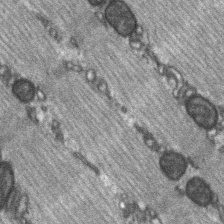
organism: C57BL Mouse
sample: Soleus